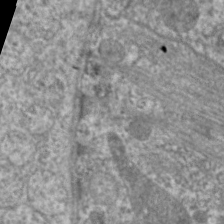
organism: C. elegans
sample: Pharynx